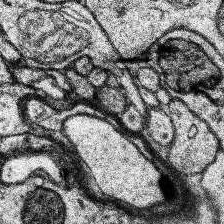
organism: Human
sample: Temporal Lobe